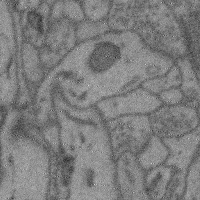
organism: Mouse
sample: Cerebral cortex